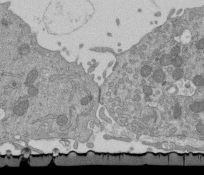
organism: Mouse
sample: ED-1 cell nuclei; centrioles